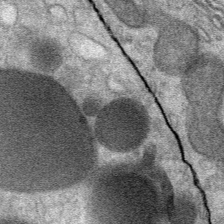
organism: Mouse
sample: Mouse Salivary gland